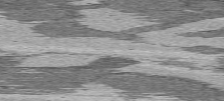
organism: C57BL Mouse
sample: Heart